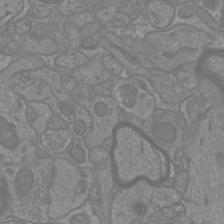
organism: Mouse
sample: Cortical neurons